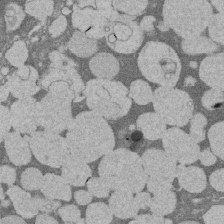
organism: Rat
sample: Salivary granule